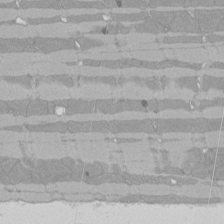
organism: Rat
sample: Left ventricle